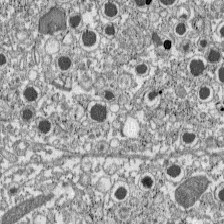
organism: C57BL Mouse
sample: Pancreatic islet